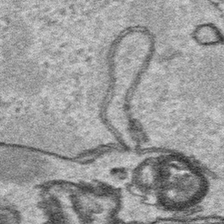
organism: Platynereis dumerilii